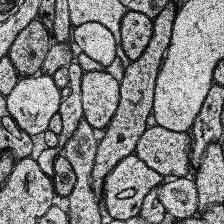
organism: Human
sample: Temporal Lobe